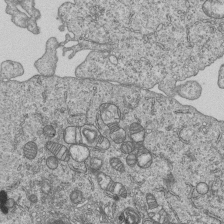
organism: Human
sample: MDA-MB-231 cells